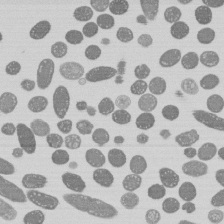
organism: E. coli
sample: Bacterial nucleoid